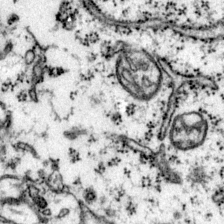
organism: Mouse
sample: Primary visual cortex